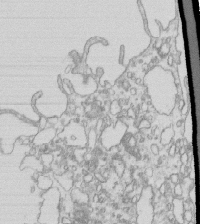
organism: Mouse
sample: Macrophages